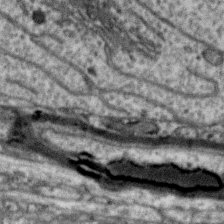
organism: Zebra finch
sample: Brain